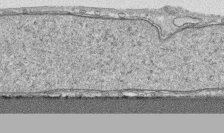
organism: Human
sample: CRL-1474